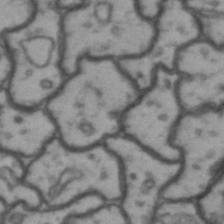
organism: Drosophila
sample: Brain